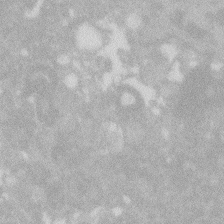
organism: Zebrafish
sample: Macrophage